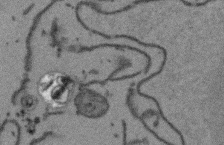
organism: Arabidopsis thaliana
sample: Root tip